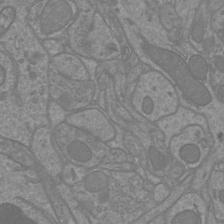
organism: Mouse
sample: Cortical neurons